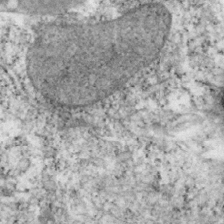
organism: Mouse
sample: OT-I killer T cells with ID8 ovarian cancer cells